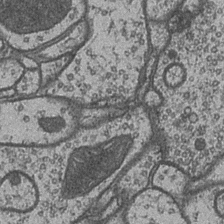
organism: Drosophila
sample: Optic medulla